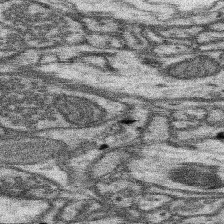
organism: Mouse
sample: Somatosensory cortex neuropil